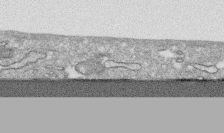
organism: Human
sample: CRL-1474